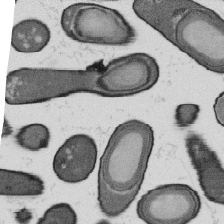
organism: B. subtilis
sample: Bacterial spore